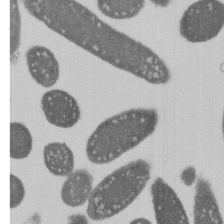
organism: E. coli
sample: Bacterial nucleoid